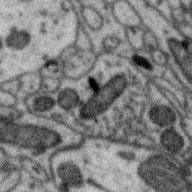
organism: Zebra finch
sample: Brain